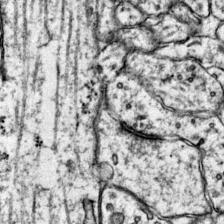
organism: Mouse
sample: Primary visual cortex